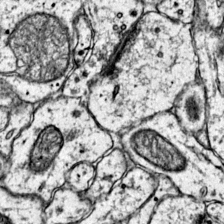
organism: Mouse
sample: Primary visual cortex